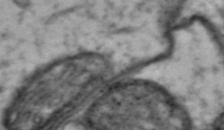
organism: Drosophila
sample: Brain